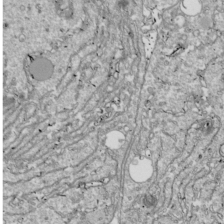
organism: Drosophila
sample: Cell division; meiosis; drosophila spermatocytes